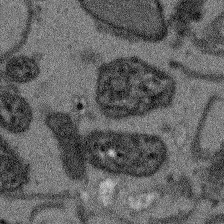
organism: Arabidopsis thaliana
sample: Root tip